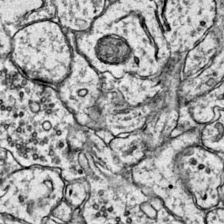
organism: Mouse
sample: Primary visual cortex